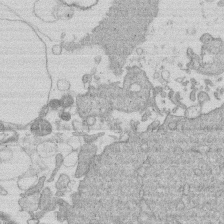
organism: Human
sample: Macrophage cells